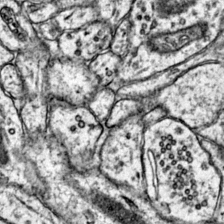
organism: Mouse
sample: Primary visual cortex